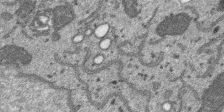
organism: Human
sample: Lung epithelial cells infected with SARS-CoV-2